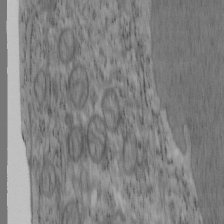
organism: Human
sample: HeLa cells